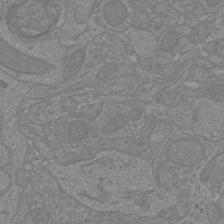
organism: Mouse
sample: Cortical neurons